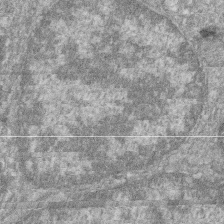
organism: Zebrafish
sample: Cilia; retinal pigment epithelium